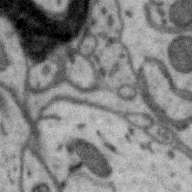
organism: Zebra finch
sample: Brain